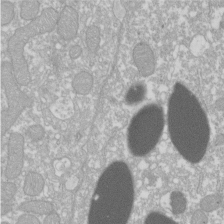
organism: Xenopus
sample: Cilia; centrioles in frog embryo cells